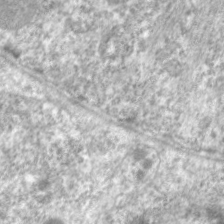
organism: C. elegans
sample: Pharynx